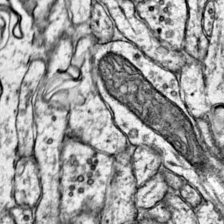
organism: Mouse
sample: Primary visual cortex